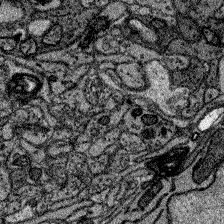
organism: Zebrafish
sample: Larval olfactory bulb